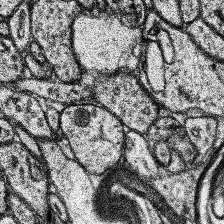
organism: Human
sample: Temporal Lobe